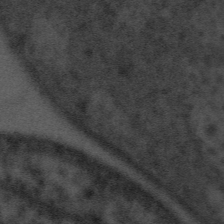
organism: Tuwongella immobilis